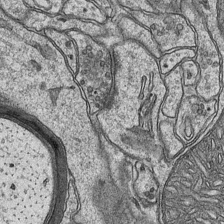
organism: Mouse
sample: CA1 Hippocampus